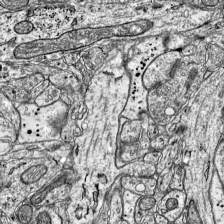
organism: Mouse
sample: Visual Cortex